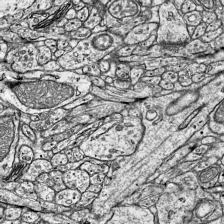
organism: Mouse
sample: Visual Cortex